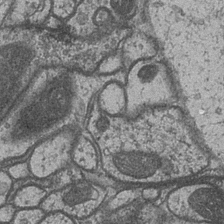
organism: Drosophila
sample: Optic medulla